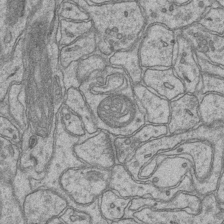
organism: Mouse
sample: CA1 Hippocampus